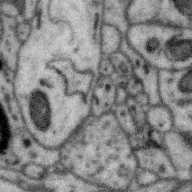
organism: Zebra finch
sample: Brain